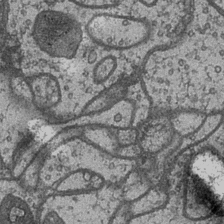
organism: Drosophila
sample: Optic medulla